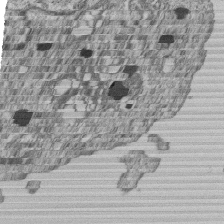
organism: Human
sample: MDA-MB-231 cells